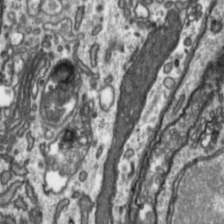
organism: Toxoplasma gondii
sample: Parasites in a vacuole inside a host cell